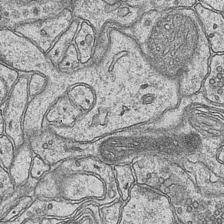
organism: Mouse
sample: CA1 Hippocampus